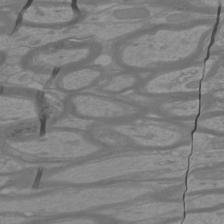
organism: Mouse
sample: Cortical neurons